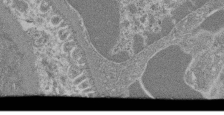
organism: Mouse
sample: Glomerulus